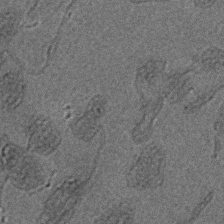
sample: Trachea